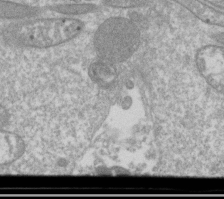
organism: Drosophila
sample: Cell division; meiosis; drosophila spermatocytes